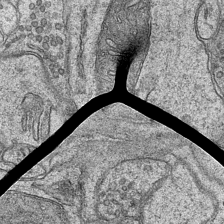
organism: Mouse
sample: CA1 Hippocampus